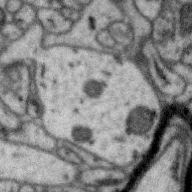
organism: Zebra finch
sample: Brain